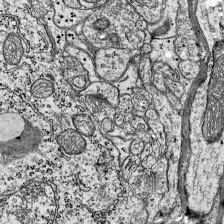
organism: Mouse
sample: Visual Cortex